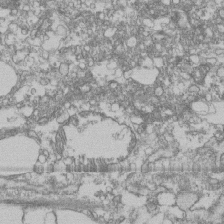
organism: Human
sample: Fibroblast cells